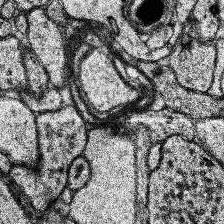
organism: Human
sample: Temporal Lobe